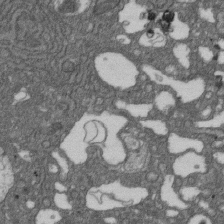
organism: Drosophila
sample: Nephrocyte